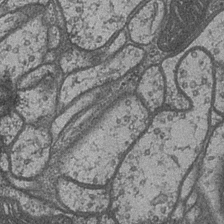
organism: Drosophila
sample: Optic medulla